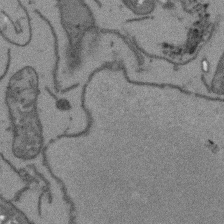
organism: Arabidopsis thaliana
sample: Root tip